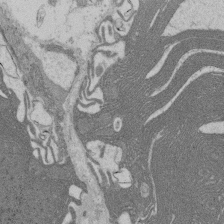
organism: Rat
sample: Salivary granule